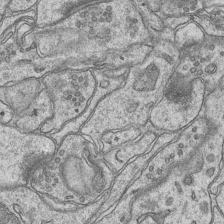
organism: Mouse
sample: CA1 Hippocampus